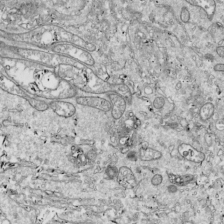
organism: Drosophila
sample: Cell division; meiosis; drosophila spermatocytes